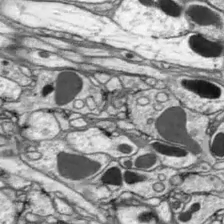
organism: Drosophila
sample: Optic lobe